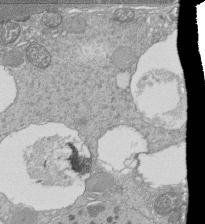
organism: Tetrahymena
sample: Cilia in tetrahymena